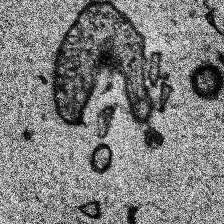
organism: Human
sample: Temporal Lobe